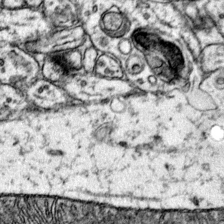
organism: Mouse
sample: Primary visual cortex